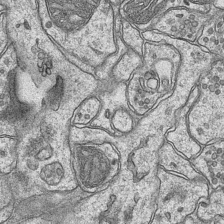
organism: Mouse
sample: CA1 Hippocampus